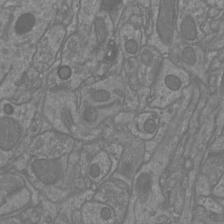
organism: Mouse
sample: Cortical neurons